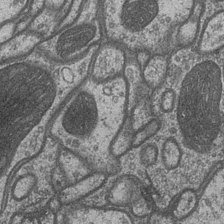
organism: Drosophila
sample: Optic medulla